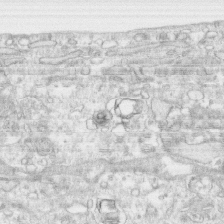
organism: Human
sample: CRL-1474